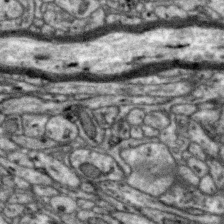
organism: Zebra finch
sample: Brain